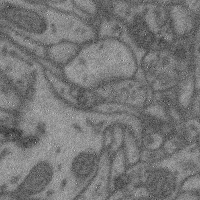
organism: Mouse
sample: Cerebral cortex